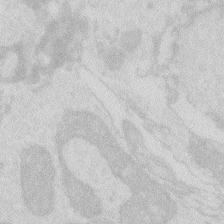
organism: Zebrafish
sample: Macrophage